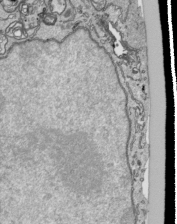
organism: Human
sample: Mitochondria in HCT116 cells